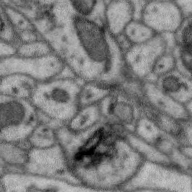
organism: Zebra finch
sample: Brain